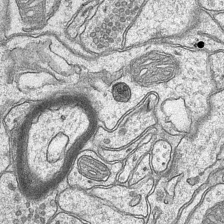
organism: Mouse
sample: CA1 Hippocampus